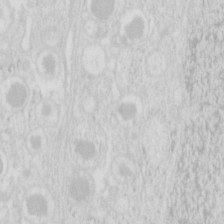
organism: Mouse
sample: Pancreas